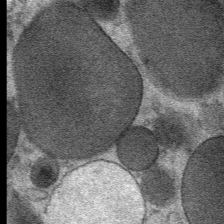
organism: Mouse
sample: Mouse Salivary gland